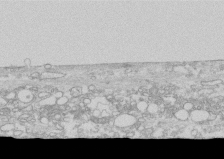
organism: Human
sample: CRL-1474